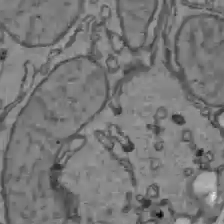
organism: C57BL Mouse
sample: Liver